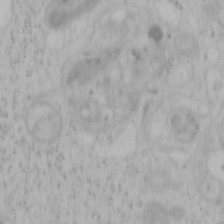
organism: Mouse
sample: OT-I killer T cells with ID8 ovarian cancer cells